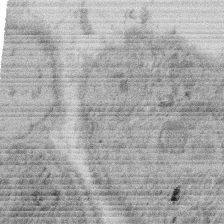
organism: Rat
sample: Salivary granule